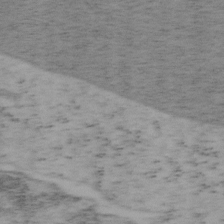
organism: Mouse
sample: OT-I killer T cells with ID8 ovarian cancer cells